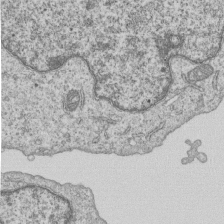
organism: Human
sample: MDA-MB-231 cells